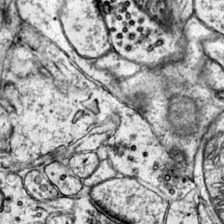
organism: Mouse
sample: Primary visual cortex